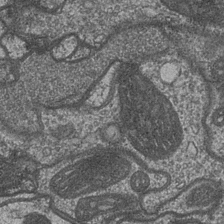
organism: Drosophila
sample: Optic medulla